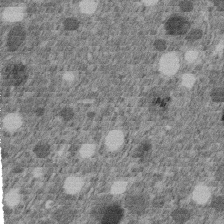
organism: C. elegans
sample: C. elegans embryo early stage